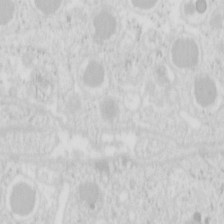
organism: Mouse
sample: Pancreas